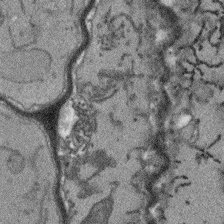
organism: Arabidopsis thaliana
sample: Root tip